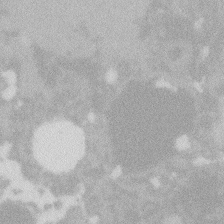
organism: Zebrafish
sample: Macrophage